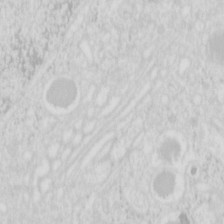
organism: Mouse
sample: Pancreas